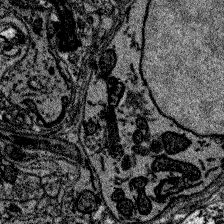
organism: Zebrafish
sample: Larval olfactory bulb